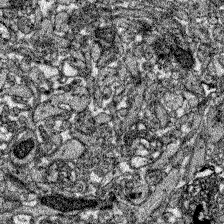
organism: Zebrafish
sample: Larval olfactory bulb